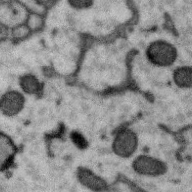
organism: Zebra finch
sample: Brain